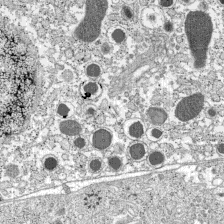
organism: C57BL Mouse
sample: Pancreatic islet